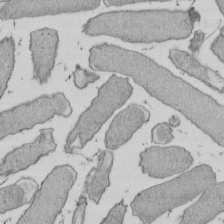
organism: E. coli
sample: Bacterial nucleoid